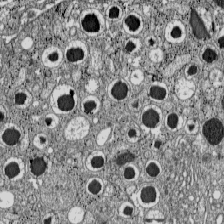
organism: C57BL Mouse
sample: Pancreatic islet